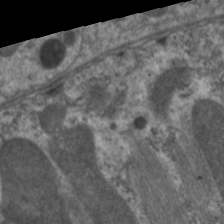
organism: C. elegans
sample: Pharynx